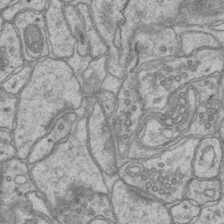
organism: Mouse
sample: CA1 Hippocampus